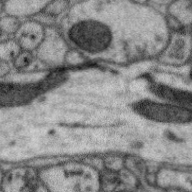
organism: Zebra finch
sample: Brain